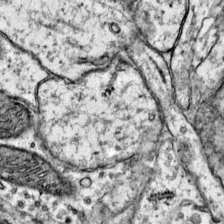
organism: Mouse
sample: Primary visual cortex